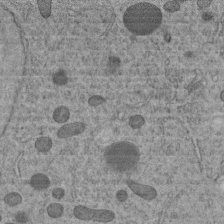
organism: C. elegans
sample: C. elegans embryo early stage